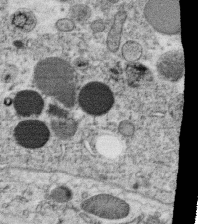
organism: C. elegans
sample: C. elegans oocyte; sperm cells